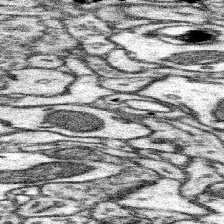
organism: Mouse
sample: Somatosensory cortex neuropil